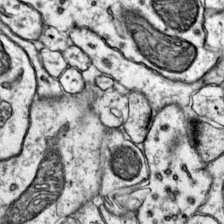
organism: Mouse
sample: Primary visual cortex